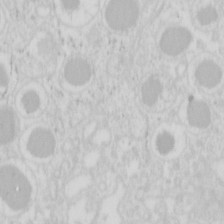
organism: Mouse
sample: Pancreas